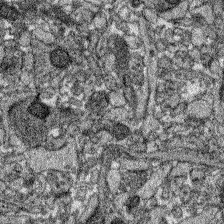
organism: Zebrafish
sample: Larval olfactory bulb